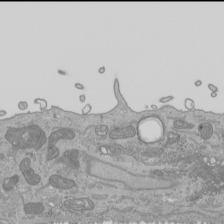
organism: Human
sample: Mitochondria in HCT116 cells